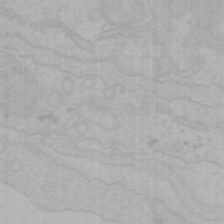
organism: Mouse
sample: Choroid plexus